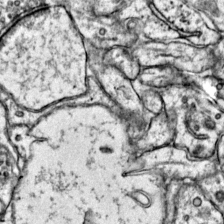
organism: Mouse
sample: Primary visual cortex